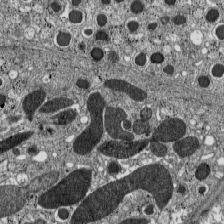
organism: C57BL Mouse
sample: Pancreatic islet